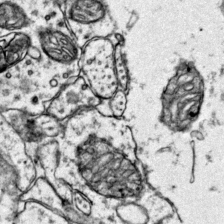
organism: Mouse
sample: Primary visual cortex